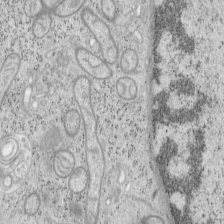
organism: Mouse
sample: OT-I killer T cells with ID8 ovarian cancer cells